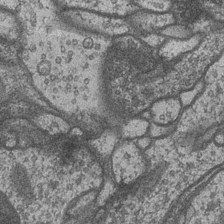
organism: Drosophila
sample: Optic medulla